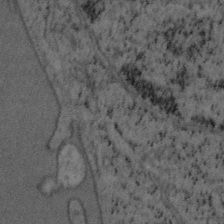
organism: Human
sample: HeLa cells